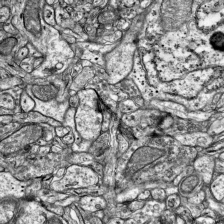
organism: Mouse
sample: Visual Cortex